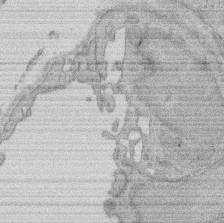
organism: Rat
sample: Salivary granule